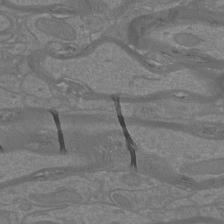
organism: Mouse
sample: Cortical neurons